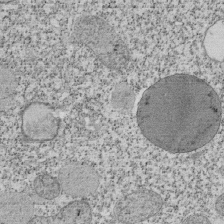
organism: Tetrahymena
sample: Cilia in tetrahymena